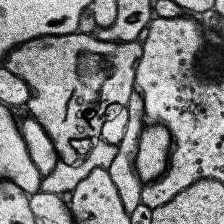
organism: Human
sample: Temporal Lobe